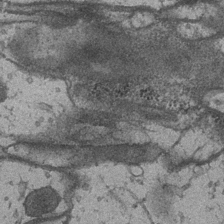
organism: Drosophila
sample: Optic medulla